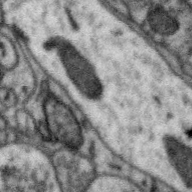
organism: Zebra finch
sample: Brain